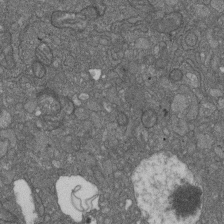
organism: Drosophila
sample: Nephrocyte